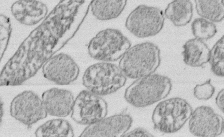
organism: E. coli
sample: Bacterial nucleoid